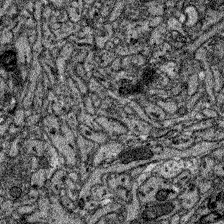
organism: Zebrafish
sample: Larval olfactory bulb